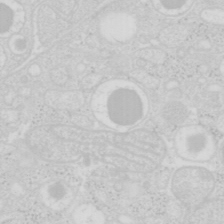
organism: Mouse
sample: Pancreas